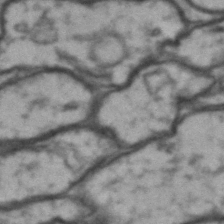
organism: Drosophila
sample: Brain